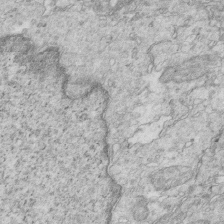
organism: Mouse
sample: Multiciliated cells